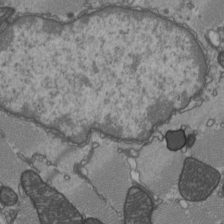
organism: C57BL Mouse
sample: Heart